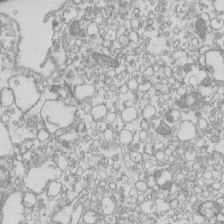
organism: Mouse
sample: Macrophages